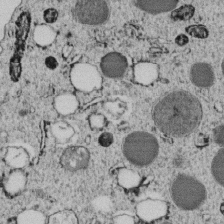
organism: C. elegans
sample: C. elegans embryo early stage